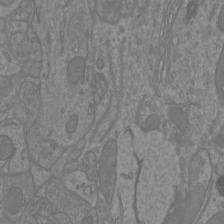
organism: Mouse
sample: Cortical neurons